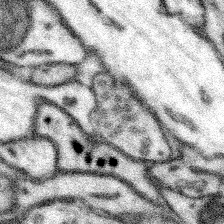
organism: Mouse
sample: Somatosensory cortex neuropil